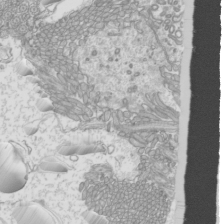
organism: Mouse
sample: Cilia; mouse epididymis